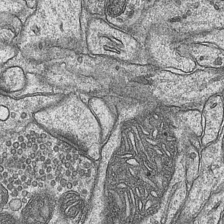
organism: Mouse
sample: CA1 Hippocampus